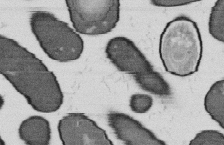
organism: B. subtilis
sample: Bacterial spore